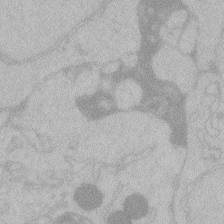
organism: Zebrafish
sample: Macrophage infected with Toxoplasma gondii